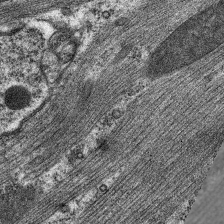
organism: C. elegans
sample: Pharynx